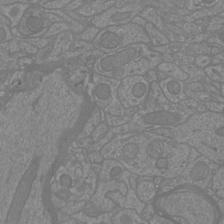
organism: Mouse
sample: Cortical neurons